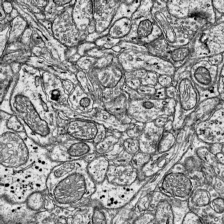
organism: Mouse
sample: Visual Cortex